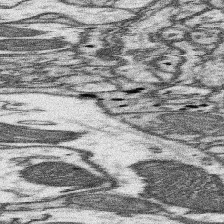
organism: Mouse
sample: Somatosensory cortex neuropil